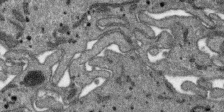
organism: Human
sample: Lung epithelial cells, uninfected (mock) control